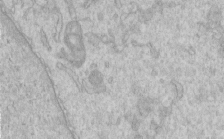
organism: Human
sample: Centriole in RPE cells